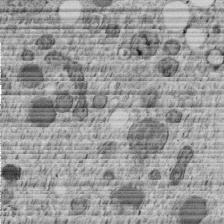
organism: C. elegans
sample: C. elegans embryo early stage